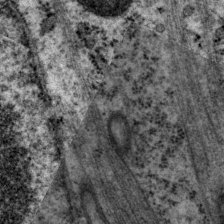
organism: P. pacificus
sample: Pharynx